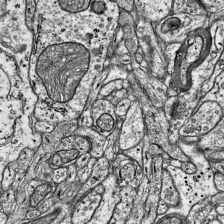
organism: Mouse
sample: Visual Cortex